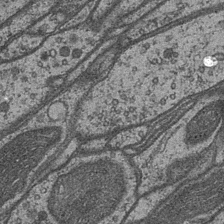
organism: Drosophila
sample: Optic medulla